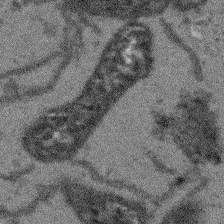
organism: Arabidopsis thaliana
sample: Root tip